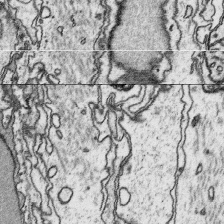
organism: Platynereis dumerilii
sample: Parapodia